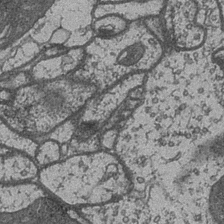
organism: Drosophila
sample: Optic medulla